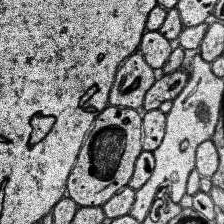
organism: Human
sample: Temporal Lobe